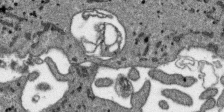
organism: Human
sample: Lung epithelial cells, uninfected (mock) control